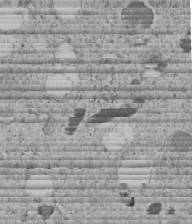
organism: C. elegans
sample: C. elegans embryo early stage